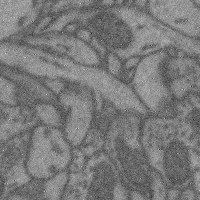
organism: Mouse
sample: Cerebral cortex